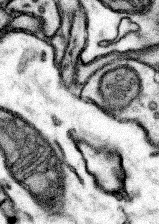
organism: Mouse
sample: Somatosensory cortex neuropil